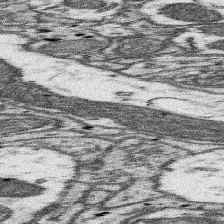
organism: Mouse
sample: Somatosensory cortex neuropil